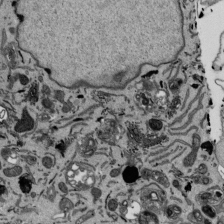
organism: Mouse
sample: ED-1 cell nuclei; centrioles